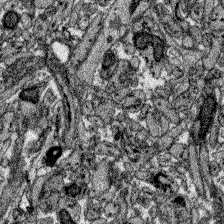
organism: Zebrafish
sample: Larval olfactory bulb